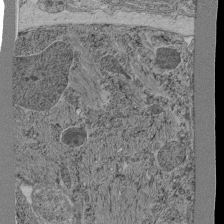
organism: C. elegans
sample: C. elegans pharynx